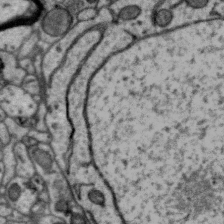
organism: Zebra finch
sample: Brain